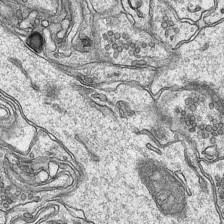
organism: Mouse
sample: CA1 Hippocampus